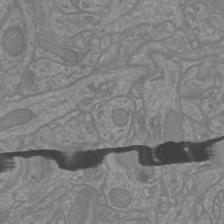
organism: Mouse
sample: Cortical neurons